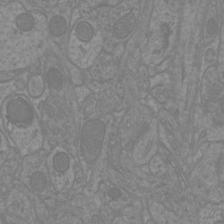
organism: Mouse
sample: Cortical neurons